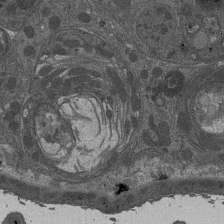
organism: Drosophila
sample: Antenna